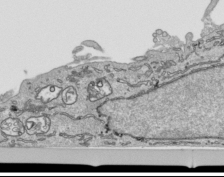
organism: Human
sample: Mitochondria in HCT116 cells